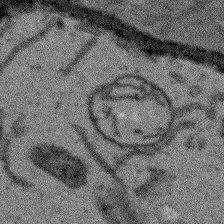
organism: Arabidopsis thaliana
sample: Root tip